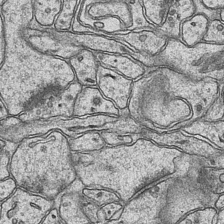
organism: Mouse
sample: CA1 Hippocampus